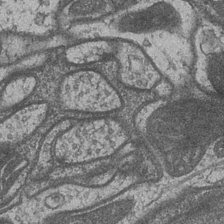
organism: Drosophila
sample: Optic medulla